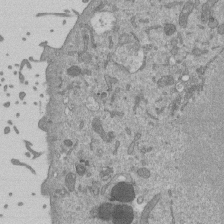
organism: Mouse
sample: ED-1 cell nuclei; centrioles